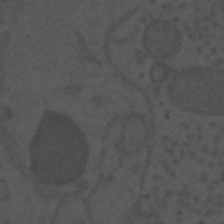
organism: Mouse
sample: Suprachiasmatic nucleus